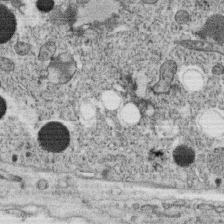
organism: C. elegans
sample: C. elegans oocyte; sperm cells